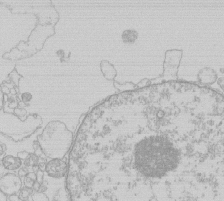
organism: Human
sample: Macrophage cells